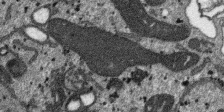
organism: Human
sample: Lung epithelial cells infected with SARS-CoV-2